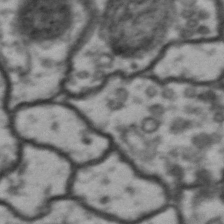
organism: Drosophila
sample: Brain